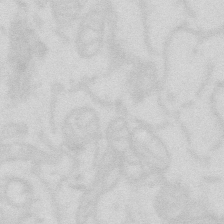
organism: Human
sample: HeLa cells